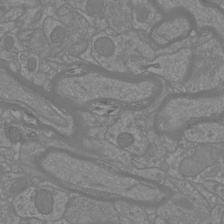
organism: Mouse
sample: Cortical neurons